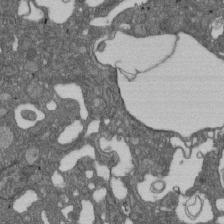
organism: Drosophila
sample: Nephrocyte